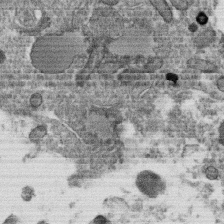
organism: C. elegans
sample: C. elegans oocyte; sperm cells